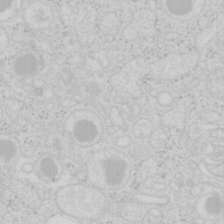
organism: Mouse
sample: Pancreas